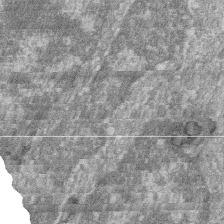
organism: Zebrafish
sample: Cilia; retinal pigment epithelium